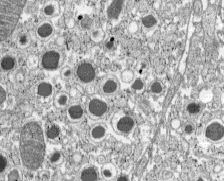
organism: C57BL Mouse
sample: Pancreatic islet